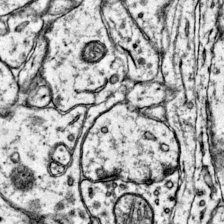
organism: Mouse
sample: Primary visual cortex